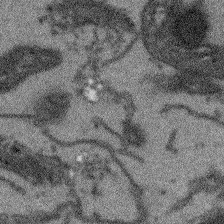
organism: Arabidopsis thaliana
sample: Root tip